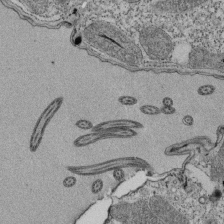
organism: Tetrahymena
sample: Cilia in tetrahymena